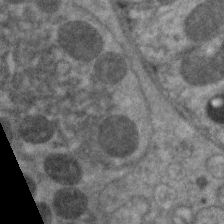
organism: C. elegans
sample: Pharynx